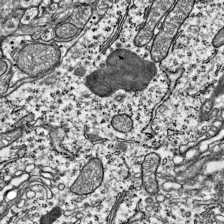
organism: Mouse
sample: Visual Cortex